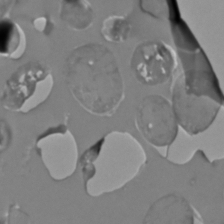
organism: C. elegans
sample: C. elegans embryo